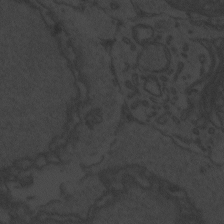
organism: Zebrafish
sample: Macrophage infected with Toxoplasma gondii